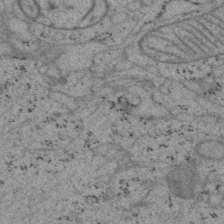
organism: Human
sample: HeLa cells